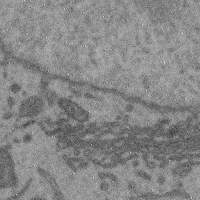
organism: Mouse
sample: Cerebral cortex